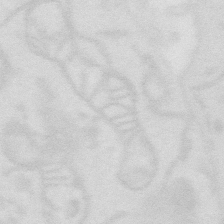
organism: Human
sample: HeLa cells